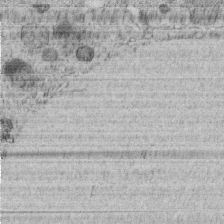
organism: C. elegans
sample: C. elegans embryo early stage